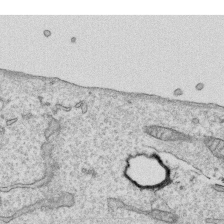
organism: Human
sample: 1205lu cells